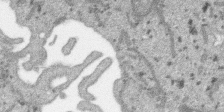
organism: Human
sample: Lung epithelial cells infected with SARS-CoV-2